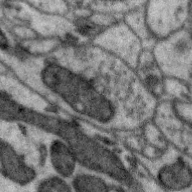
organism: Zebra finch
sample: Brain